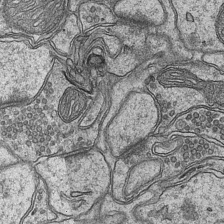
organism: Mouse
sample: CA1 Hippocampus